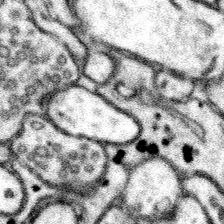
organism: Mouse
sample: Somatosensory cortex neuropil